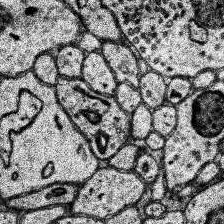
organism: Human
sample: Temporal Lobe